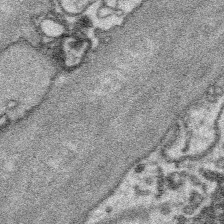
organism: Platynereis dumerilii